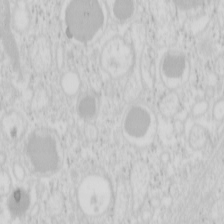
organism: Mouse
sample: Pancreas